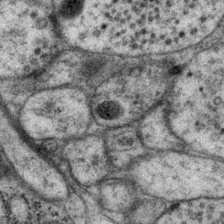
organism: P. pacificus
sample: Pharynx